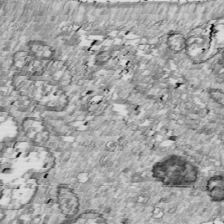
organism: Drosophila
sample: Cell division; meiosis; drosophila spermatocytes